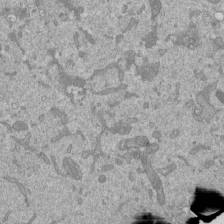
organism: Mouse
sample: ED-1 cell nuclei; centrioles